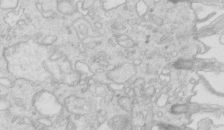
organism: Mouse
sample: Multiciliated cells